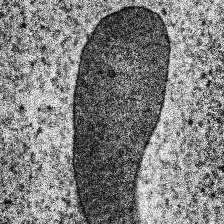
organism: Human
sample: Temporal Lobe